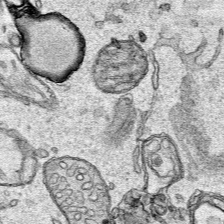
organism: Human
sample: Mitochondria in HCT116 cells